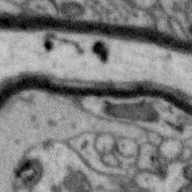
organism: Zebra finch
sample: Brain